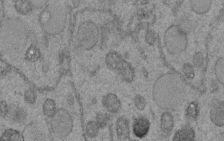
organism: C. elegans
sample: C. elegans embryo early stage